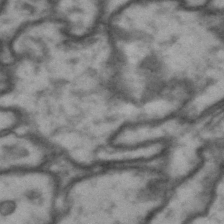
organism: Drosophila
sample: Brain